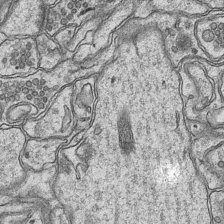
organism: Mouse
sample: CA1 Hippocampus